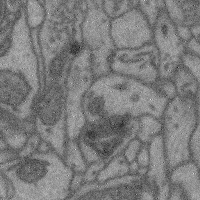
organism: Mouse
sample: Cerebral cortex